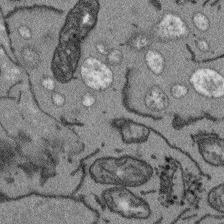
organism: Arabidopsis thaliana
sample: Root tip